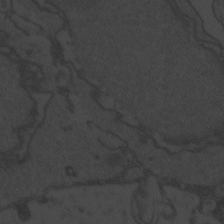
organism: Zebrafish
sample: Macrophage infected with Toxoplasma gondii